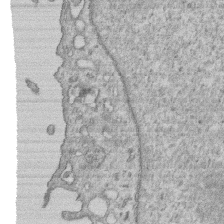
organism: Human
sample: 1205lu cells